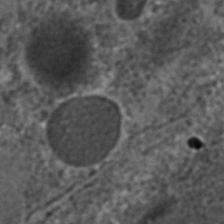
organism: C. elegans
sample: C. elegans embryo